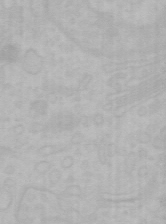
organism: Mouse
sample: Choroid plexus